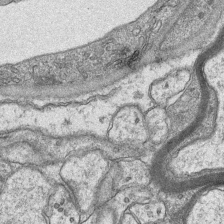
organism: Mouse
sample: CA1 Hippocampus